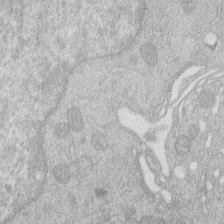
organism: Human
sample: Macrophage cells